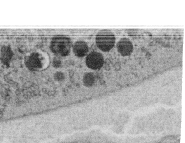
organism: C. elegans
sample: C. elegans oocyte; sperm cells